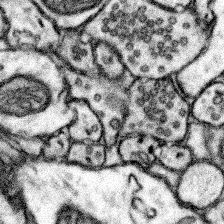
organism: Mouse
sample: Somatosensory cortex neuropil